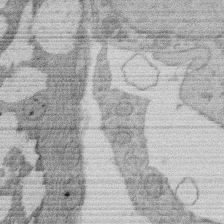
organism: Rat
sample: Salivary granule